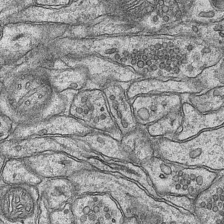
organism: Mouse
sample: CA1 Hippocampus